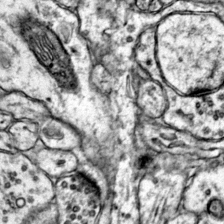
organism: Mouse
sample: Primary visual cortex